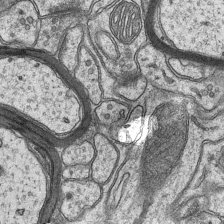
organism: Mouse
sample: CA1 Hippocampus